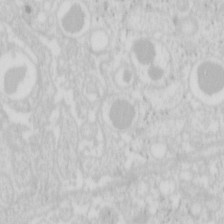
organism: Mouse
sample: Pancreas